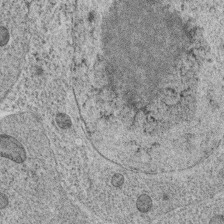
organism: C. elegans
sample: C. elegans oocyte; sperm cells